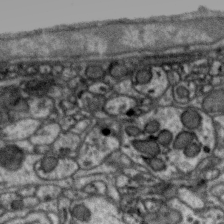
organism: Zebra finch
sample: Brain